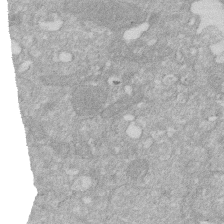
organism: Human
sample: HIV infected U937 cells